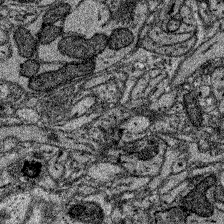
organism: Zebrafish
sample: Larval olfactory bulb